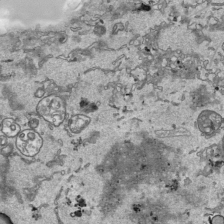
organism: Human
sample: Mitochondria in HCT116 cells